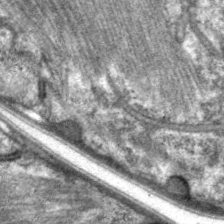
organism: C. elegans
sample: Pharynx